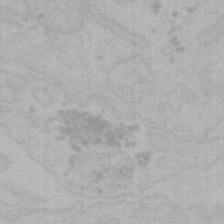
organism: Mouse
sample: Choroid plexus